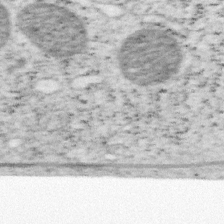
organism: Mouse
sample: OT-I killer T cells with ID8 ovarian cancer cells